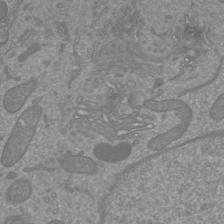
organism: Mouse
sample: Cortical neurons